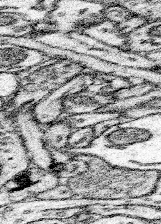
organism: Mouse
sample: Somatosensory cortex neuropil